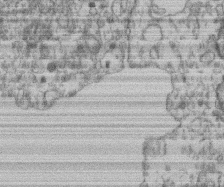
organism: Mouse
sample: T cell stromal cell synapse